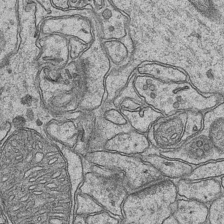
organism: Mouse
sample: CA1 Hippocampus